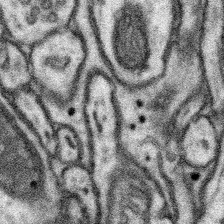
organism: Mouse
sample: Somatosensory cortex neuropil